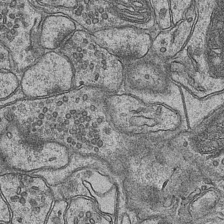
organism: Mouse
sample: CA1 Hippocampus